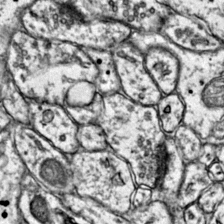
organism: Mouse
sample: Primary visual cortex